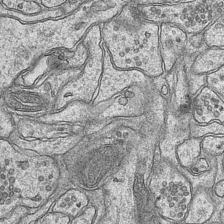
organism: Mouse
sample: CA1 Hippocampus